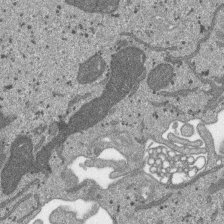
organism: Human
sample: Lung epithelial cells infected with SARS-CoV-2